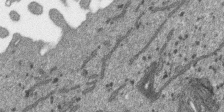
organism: Human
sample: Lung epithelial cells infected with SARS-CoV-2